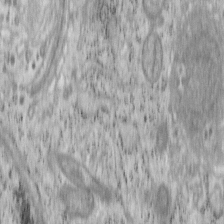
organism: Human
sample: HeLa cells